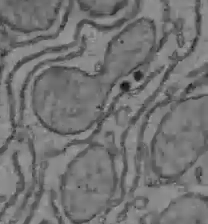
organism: C57BL Mouse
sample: Liver